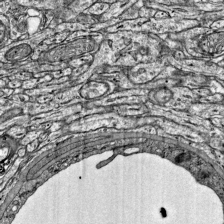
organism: Mouse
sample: Visual Cortex